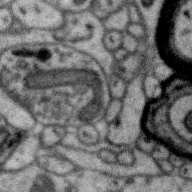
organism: Zebra finch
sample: Brain